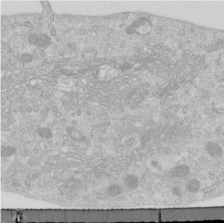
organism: Human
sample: Centriole in RPE cells